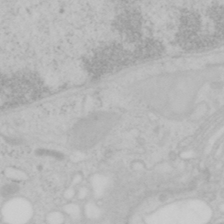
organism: Mouse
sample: OT-I killer T cells with ID8 ovarian cancer cells